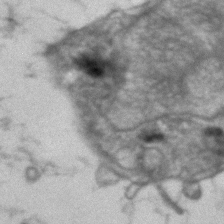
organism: Human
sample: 1205lu cells